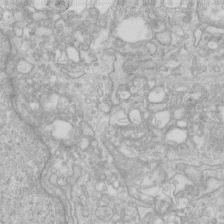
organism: Human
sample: Fibroblast cells